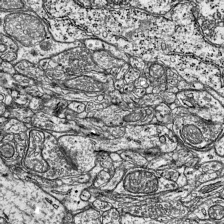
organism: Mouse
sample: Visual Cortex